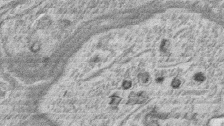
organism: Zebrafish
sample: synaptic ribbons in rod cells and cone cells